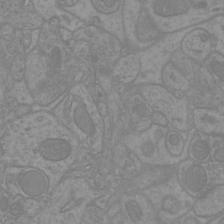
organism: Mouse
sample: Cortical neurons